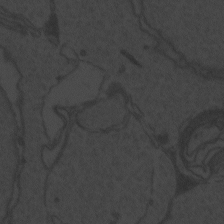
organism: Zebrafish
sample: Macrophage infected with Toxoplasma gondii